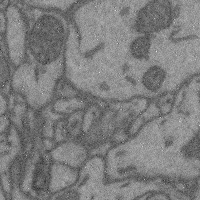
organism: Mouse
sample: Cerebral cortex